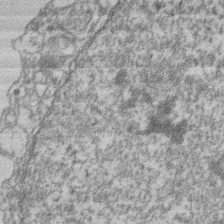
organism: Mouse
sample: T cell stromal cell synapse